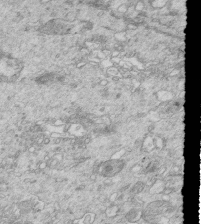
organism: Mouse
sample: Multiciliated cells